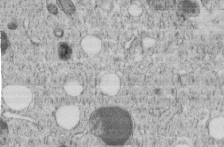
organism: C. elegans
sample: C. elegans embryo early stage